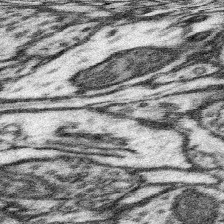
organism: Mouse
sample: Somatosensory cortex neuropil